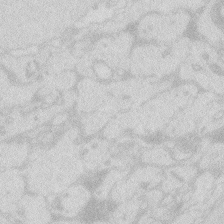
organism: Zebrafish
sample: Macrophage